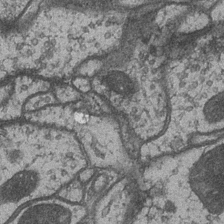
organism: Drosophila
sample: Optic medulla